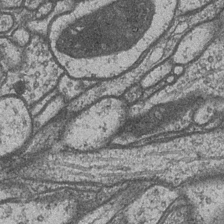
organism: Drosophila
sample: Optic medulla